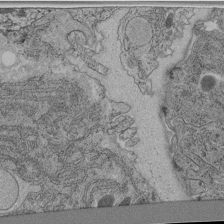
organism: C. elegans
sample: C. elegans pharynx